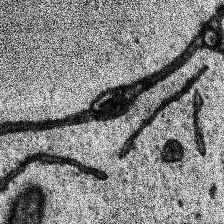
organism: Human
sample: Temporal Lobe